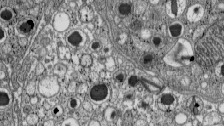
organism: C57BL Mouse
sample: Pancreatic islet